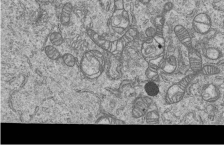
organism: Human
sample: MDA-MB-231 cells